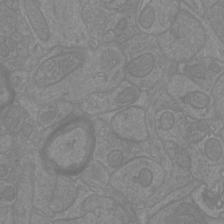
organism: Mouse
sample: Cortical neurons